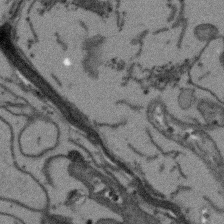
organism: Arabidopsis thaliana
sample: Root tip